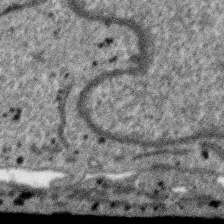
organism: Human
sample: Lung epithelial cells infected with SARS-CoV-2